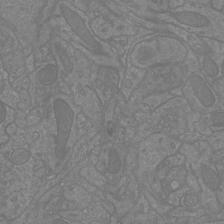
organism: Mouse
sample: Cortical neurons